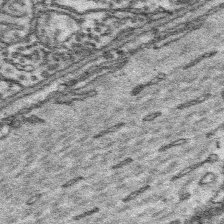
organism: Platynereis dumerilii